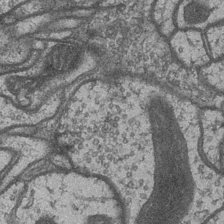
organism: Drosophila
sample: Optic medulla